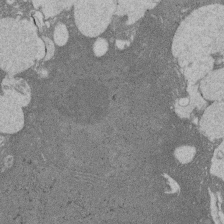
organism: Rat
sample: Salivary granule